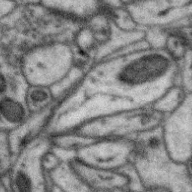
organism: Zebra finch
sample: Brain